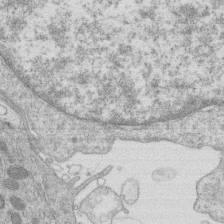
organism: Human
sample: Macrophage cells